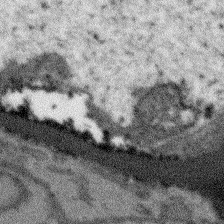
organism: Arabidopsis thaliana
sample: Root tip